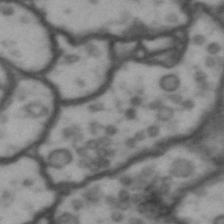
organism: Drosophila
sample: Brain